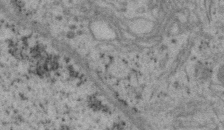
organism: Human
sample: HeLa cells